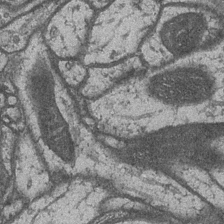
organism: Drosophila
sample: Optic medulla